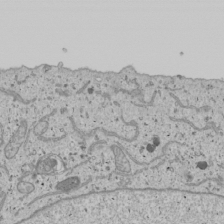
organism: Human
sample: Mitochondria in U2OS cells